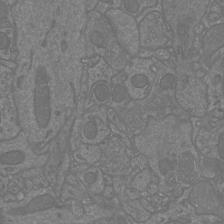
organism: Mouse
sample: Cortical neurons